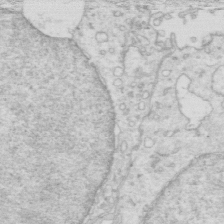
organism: Mouse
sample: Multiciliated cells